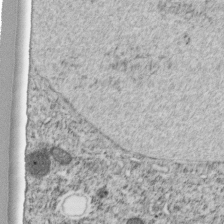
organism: C. elegans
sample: C. elegans embryo early stage